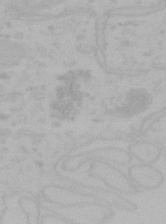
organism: Mouse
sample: Choroid plexus